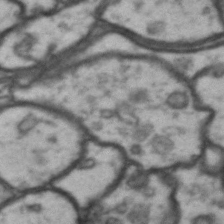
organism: Drosophila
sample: Brain